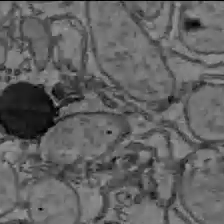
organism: C57BL Mouse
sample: Liver